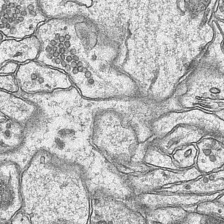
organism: Mouse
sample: CA1 Hippocampus